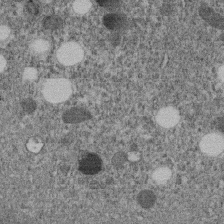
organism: C. elegans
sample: C. elegans embryo early stage